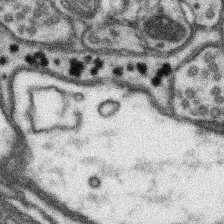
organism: Mouse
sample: Somatosensory cortex neuropil